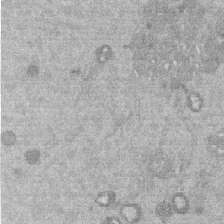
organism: Mouse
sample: Dividing mouse embryo 1 cell stage